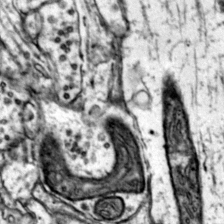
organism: Mouse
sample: Primary visual cortex